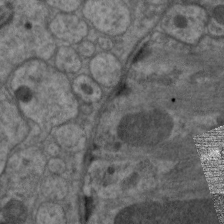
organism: C. elegans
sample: Pharynx